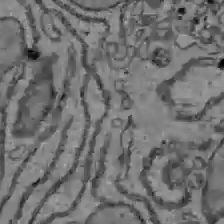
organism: C57BL Mouse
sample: Liver